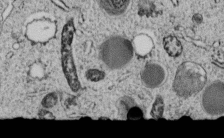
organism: C. elegans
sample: C. elegans embryo early stage